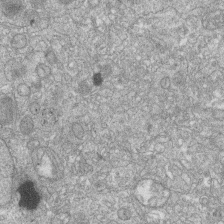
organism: Human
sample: HeLa cell HIV synapse